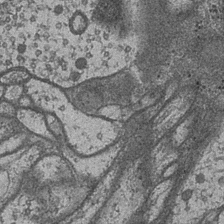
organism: Drosophila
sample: Optic medulla